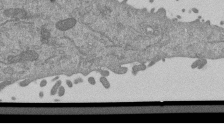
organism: Mouse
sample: ED-1 cell nuclei; centrioles